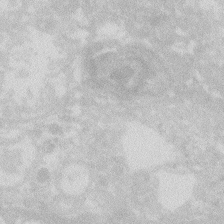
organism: Zebrafish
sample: Macrophage